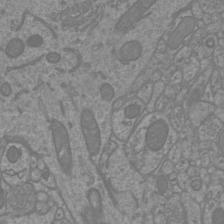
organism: Mouse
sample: Cortical neurons